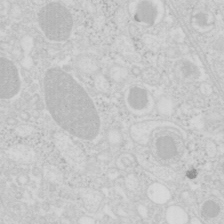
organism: Mouse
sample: Pancreas